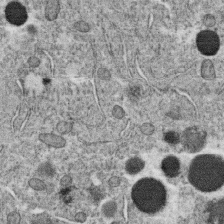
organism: C. elegans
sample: C. elegans oocyte; sperm cells